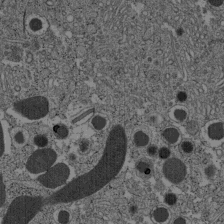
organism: C57BL Mouse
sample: Pancreatic islet